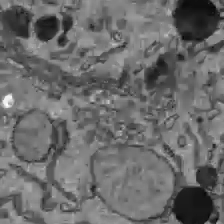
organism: C57BL Mouse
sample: Liver